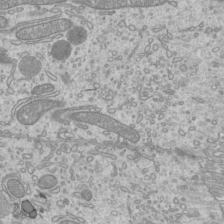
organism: Mouse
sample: Cilia; mouse epididymis